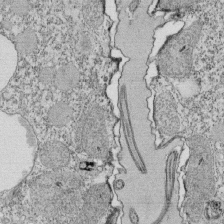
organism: Tetrahymena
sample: Cilia in tetrahymena